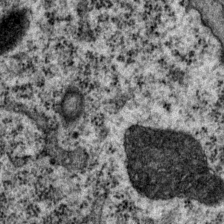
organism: P. pacificus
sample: Pharynx